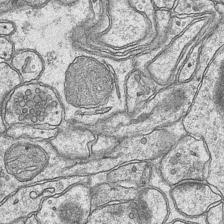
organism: Mouse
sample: CA1 Hippocampus